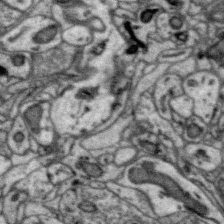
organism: Zebra finch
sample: Brain